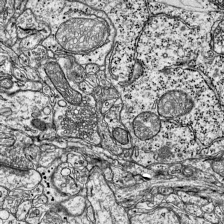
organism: Mouse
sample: Visual Cortex